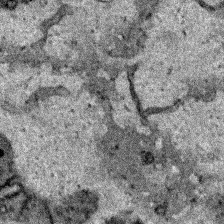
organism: Human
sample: Mitochondria in HCT116 cells